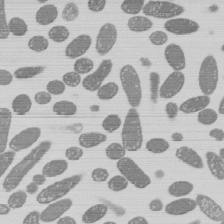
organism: E. coli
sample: Bacterial nucleoid